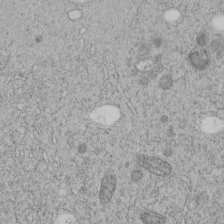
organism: C. elegans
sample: C. elegans embryo early stage